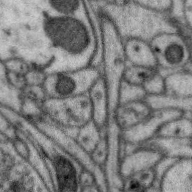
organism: Zebra finch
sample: Brain